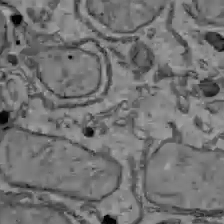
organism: C57BL Mouse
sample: Liver